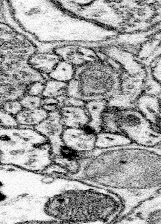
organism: Mouse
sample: Somatosensory cortex neuropil